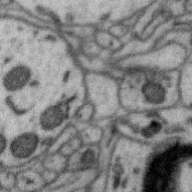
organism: Zebra finch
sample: Brain